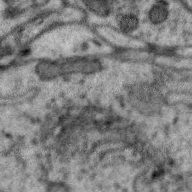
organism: Zebra finch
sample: Brain